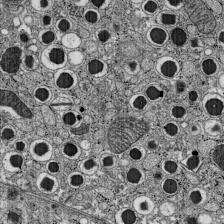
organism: C57BL Mouse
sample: Pancreatic islet